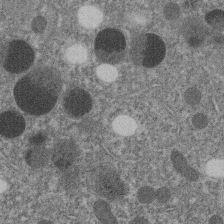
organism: C. elegans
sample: C. elegans embryo early stage